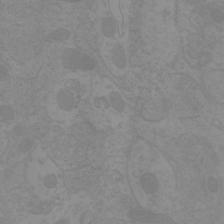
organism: Mouse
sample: Cortical neurons